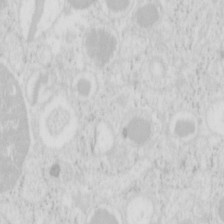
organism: Mouse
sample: Pancreas